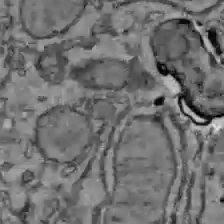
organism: C57BL Mouse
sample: Liver